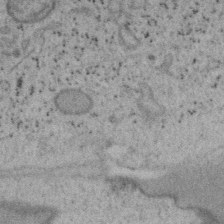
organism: Human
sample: HeLa cells